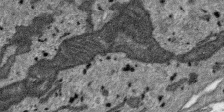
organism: Human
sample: Lung epithelial cells, uninfected (mock) control